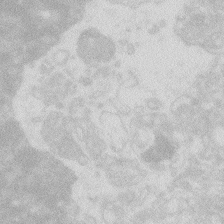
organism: Zebrafish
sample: Macrophage